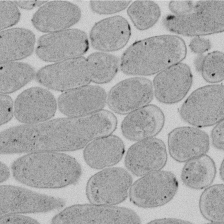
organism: E. coli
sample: Bacterial nucleoid